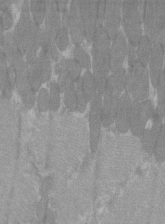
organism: C57BL Mouse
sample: Tibialis anterior muscle cell